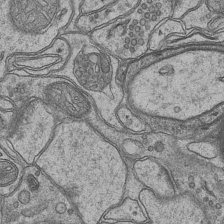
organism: Mouse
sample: CA1 Hippocampus